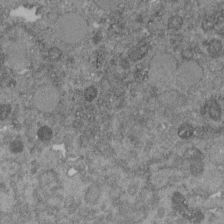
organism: C. elegans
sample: C. elegans embryo early stage